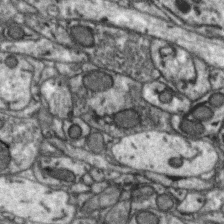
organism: Zebra finch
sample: Brain